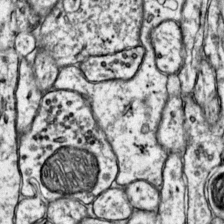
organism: Mouse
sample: Primary visual cortex